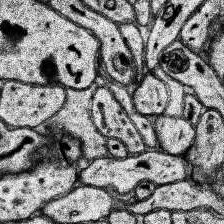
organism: Human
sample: Temporal Lobe